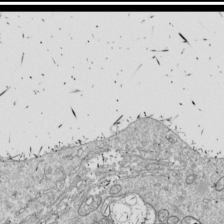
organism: Drosophila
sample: Cell division; meiosis; drosophila spermatocytes